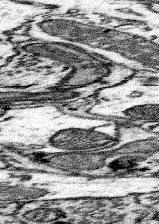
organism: Mouse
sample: Somatosensory cortex neuropil